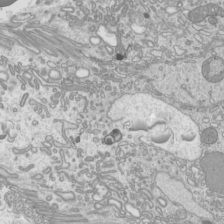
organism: Mouse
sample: Cilia; mouse epididymis